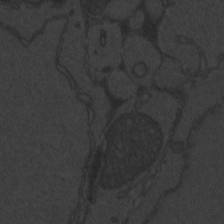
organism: Zebrafish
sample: Macrophage infected with Toxoplasma gondii